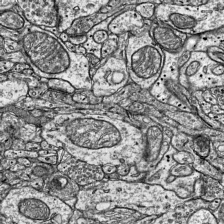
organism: Mouse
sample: Visual Cortex